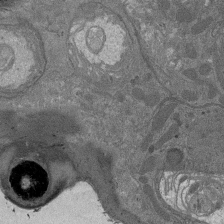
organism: Drosophila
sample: Antenna